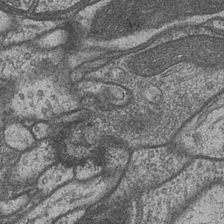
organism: Drosophila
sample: Optic medulla